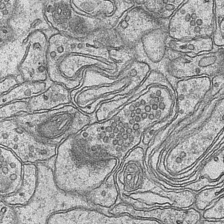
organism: Mouse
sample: CA1 Hippocampus